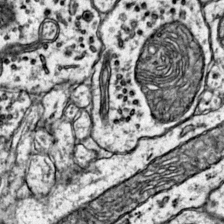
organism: Mouse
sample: Primary visual cortex